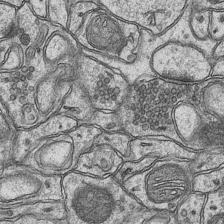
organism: Mouse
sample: CA1 Hippocampus